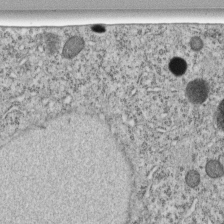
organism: C. elegans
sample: C. elegans embryo early stage